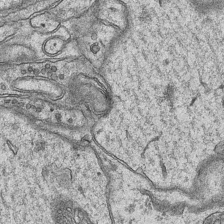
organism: Mouse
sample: CA1 Hippocampus